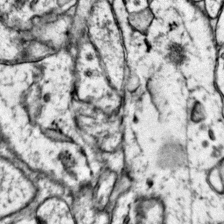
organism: Mouse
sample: Primary visual cortex